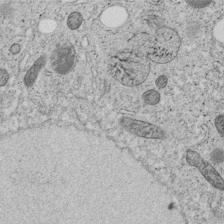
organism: C. elegans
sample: C. elegans embryo early stage